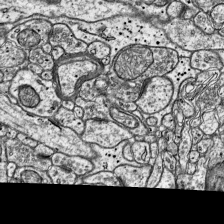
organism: Mouse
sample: Visual Cortex